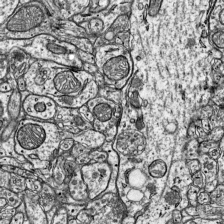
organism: Mouse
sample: Visual Cortex